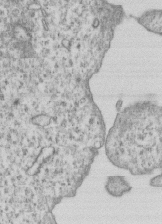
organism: Human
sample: MDA-MB-231 cells